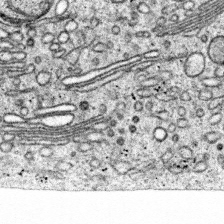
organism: Human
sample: HeLa cells